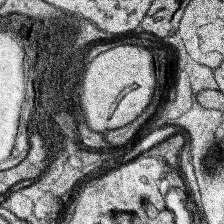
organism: Human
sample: Temporal Lobe